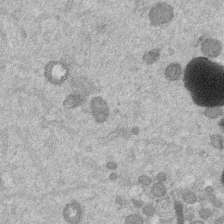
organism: Mouse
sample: Dividing mouse embryo 1 cell stage